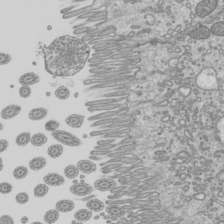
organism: Mouse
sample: Cilia; mouse epididymis